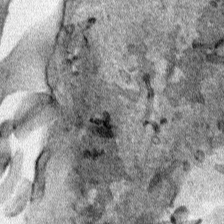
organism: Human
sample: Mitochondria in HCT116 cells